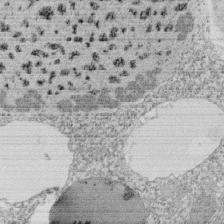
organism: Tetrahymena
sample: Cilia in tetrahymena